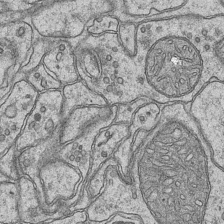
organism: Mouse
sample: CA1 Hippocampus